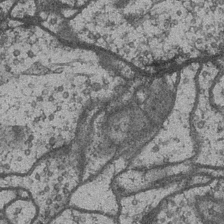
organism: Drosophila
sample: Optic medulla